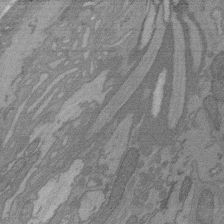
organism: C. elegans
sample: AFD neurons C. elegans